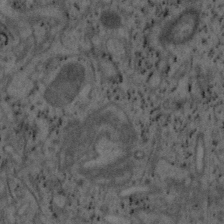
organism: Human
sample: HeLa cells